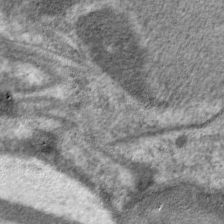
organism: C. elegans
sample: Pharynx